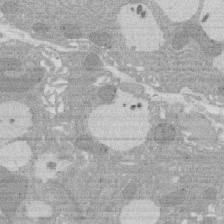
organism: Rat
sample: Salivary granule